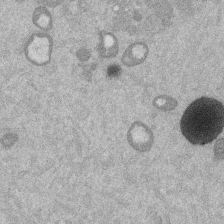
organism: Mouse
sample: Dividing mouse embryo 1 cell stage